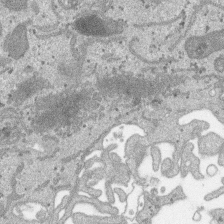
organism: Human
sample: Lung epithelial cells infected with SARS-CoV-2